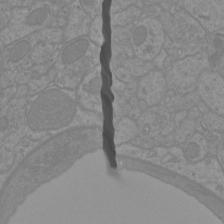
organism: Mouse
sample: Cortical neurons